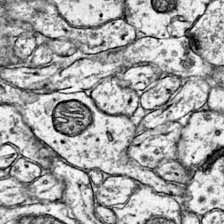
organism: Mouse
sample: Primary visual cortex